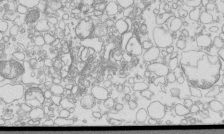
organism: Mouse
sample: Macrophages